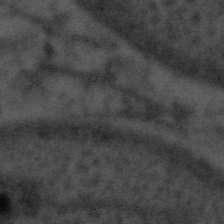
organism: Tuwongella immobilis